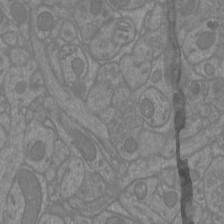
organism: Mouse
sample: Cortical neurons